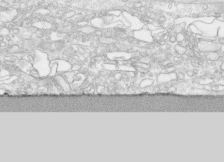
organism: Human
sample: CRL-1474